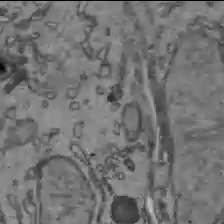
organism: C57BL Mouse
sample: Liver